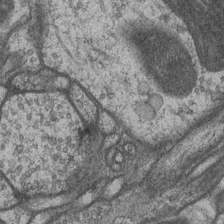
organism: Drosophila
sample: Optic medulla